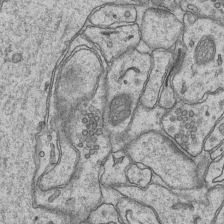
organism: Mouse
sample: CA1 Hippocampus